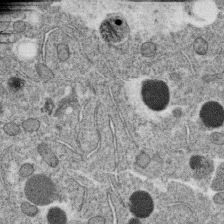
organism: C. elegans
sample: C. elegans oocyte; sperm cells